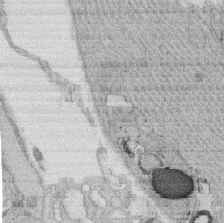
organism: Rat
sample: Salivary granule